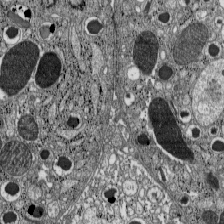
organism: C57BL Mouse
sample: Pancreatic islet